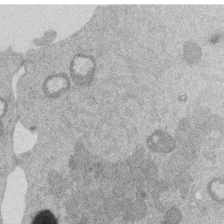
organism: Mouse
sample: Dividing mouse embryo 1 cell stage